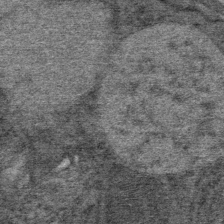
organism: Mouse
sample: Mouse Salivary gland